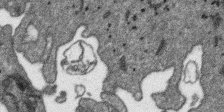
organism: Human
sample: Lung epithelial cells infected with SARS-CoV-2